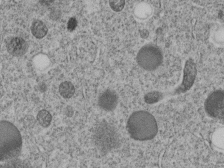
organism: C. elegans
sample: C. elegans embryo early stage